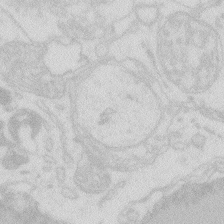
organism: Zebrafish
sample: Macrophage